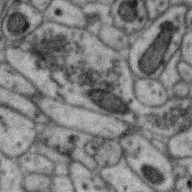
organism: Zebra finch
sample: Brain